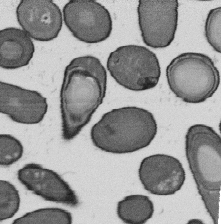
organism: B. subtilis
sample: Bacterial spore